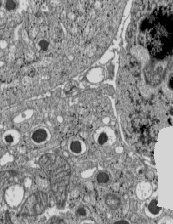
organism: C57BL Mouse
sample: Pancreatic islet